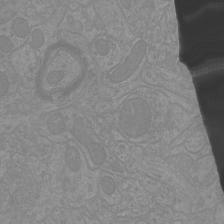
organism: Mouse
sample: Cortical neurons